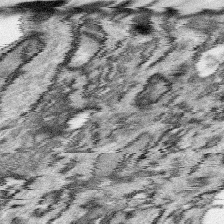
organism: Human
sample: HeLa cells